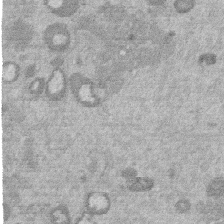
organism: Mouse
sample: Dividing mouse embryo 1 cell stage